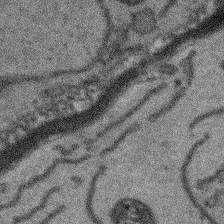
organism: Arabidopsis thaliana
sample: Root tip